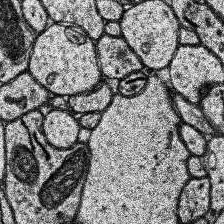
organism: Human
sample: Temporal Lobe